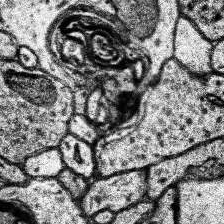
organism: Human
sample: Temporal Lobe